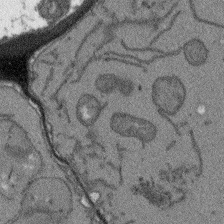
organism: Arabidopsis thaliana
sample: Root tip